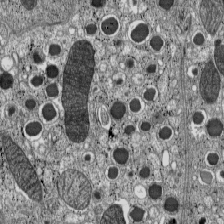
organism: C57BL Mouse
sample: Pancreatic islet